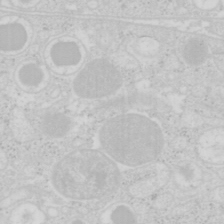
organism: Mouse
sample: Pancreas